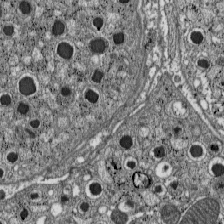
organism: C57BL Mouse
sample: Pancreatic islet